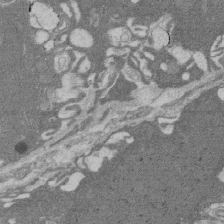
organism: Rat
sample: Salivary granule